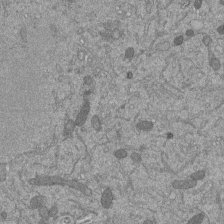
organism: Mouse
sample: ED-1 cell nuclei; centrioles